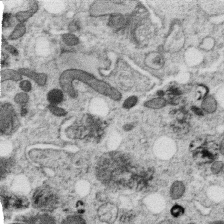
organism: C. elegans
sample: C. elegans oocyte; sperm cells